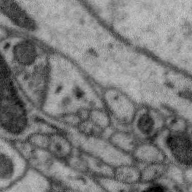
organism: Zebra finch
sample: Brain